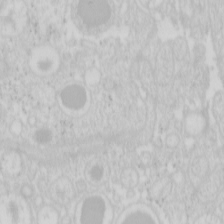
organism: Mouse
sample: Pancreas